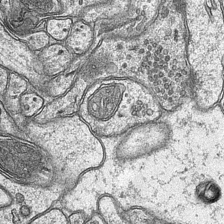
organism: Mouse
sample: CA1 Hippocampus